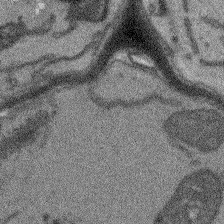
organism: Arabidopsis thaliana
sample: Root tip